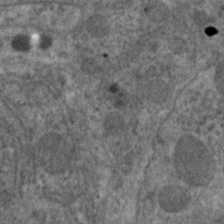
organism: C. elegans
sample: Pharynx